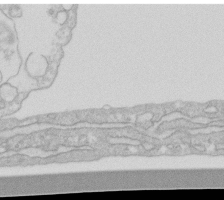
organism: Human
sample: Fibroblast cells